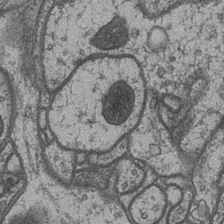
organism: Drosophila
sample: Optic medulla